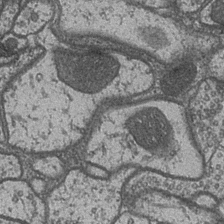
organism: Drosophila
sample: Optic medulla